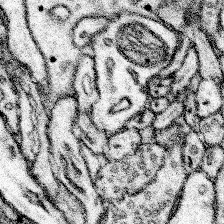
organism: Mouse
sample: Somatosensory cortex neuropil